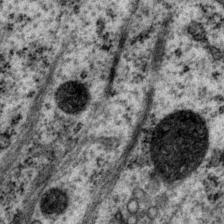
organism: P. pacificus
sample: Pharynx